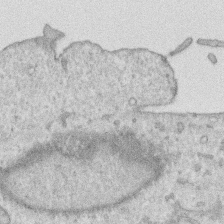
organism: Human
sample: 1205lu cells